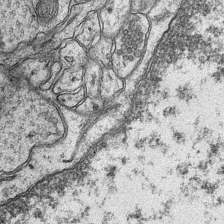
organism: Mouse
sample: CA1 Hippocampus